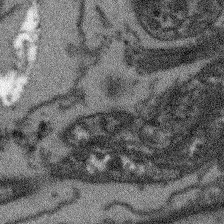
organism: Arabidopsis thaliana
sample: Root tip